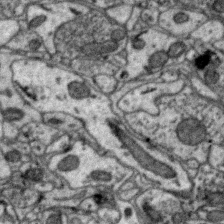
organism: Zebra finch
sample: Brain